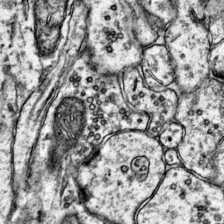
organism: Mouse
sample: Primary visual cortex